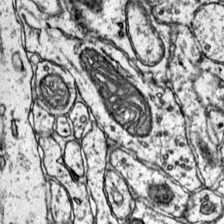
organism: Mouse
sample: Primary visual cortex